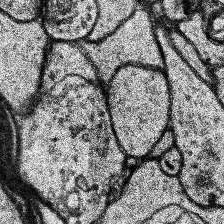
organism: Human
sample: Temporal Lobe